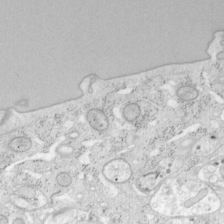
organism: Mouse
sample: OT-I killer T cells with ID8 ovarian cancer cells